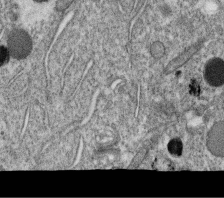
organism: C. elegans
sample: C. elegans oocyte; sperm cells